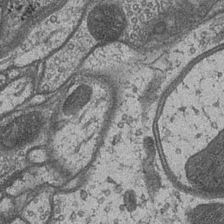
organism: Drosophila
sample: Optic medulla